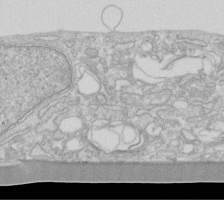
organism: Human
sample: Fibroblast cells